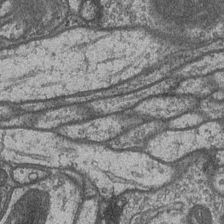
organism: Drosophila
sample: Optic medulla